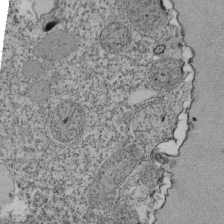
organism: Tetrahymena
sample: Cilia in tetrahymena